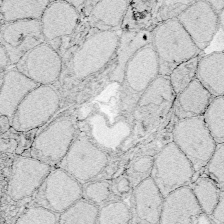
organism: Zebrafish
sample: Whole-Brain